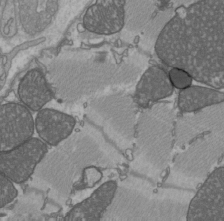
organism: C57BL Mouse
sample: Heart